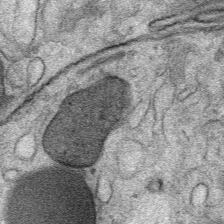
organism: Mouse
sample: Mouse Salivary gland